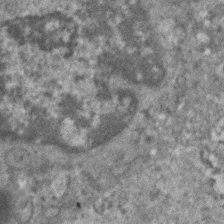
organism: Human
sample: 1205lu cells